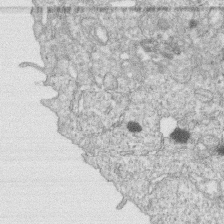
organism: Human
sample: HeLa cell HIV synapse